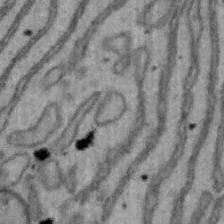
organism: Mouse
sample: Liver